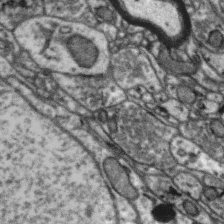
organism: Zebra finch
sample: Brain